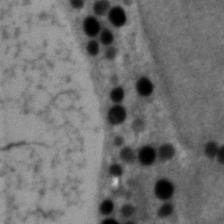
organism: Zebrafish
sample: Zebrafish embryo